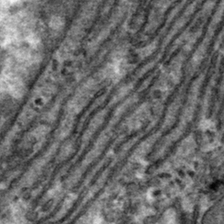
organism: Mouse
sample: Mouse hepatocytes